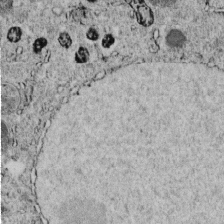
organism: C. elegans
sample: C. elegans embryo early stage